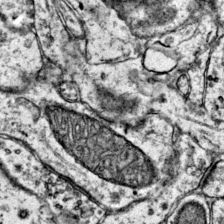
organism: Mouse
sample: Primary visual cortex